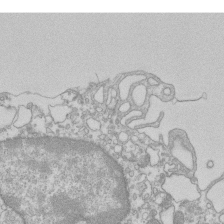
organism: Mouse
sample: Macrophages